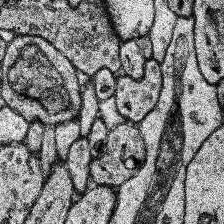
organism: Human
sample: Temporal Lobe